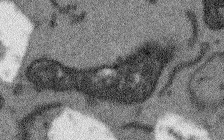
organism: Arabidopsis thaliana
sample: Root tip